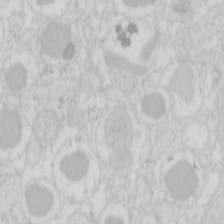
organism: Mouse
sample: Pancreas